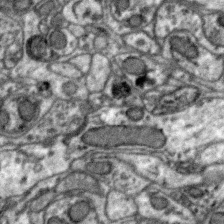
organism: Zebra finch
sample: Brain